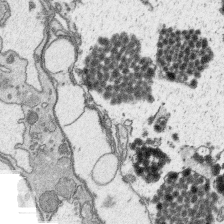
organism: Platynereis dumerilii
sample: Parapodia